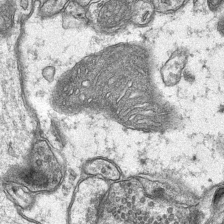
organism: Mouse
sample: CA1 Hippocampus